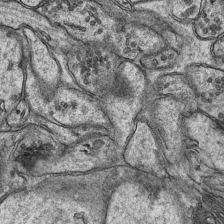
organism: Mouse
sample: CA1 Hippocampus